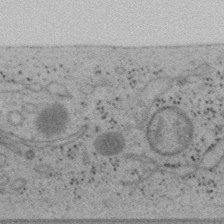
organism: Human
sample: HeLa cells